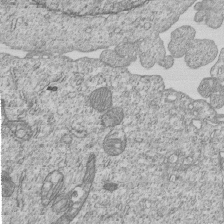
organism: Human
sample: MDA-MB-231 cells